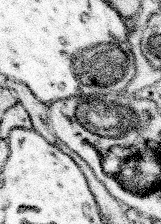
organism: Mouse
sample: Somatosensory cortex neuropil